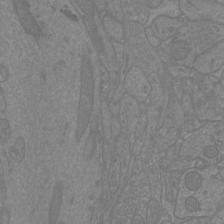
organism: Mouse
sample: Cortical neurons